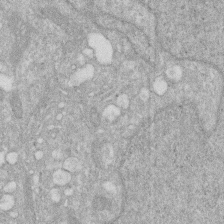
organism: Human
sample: HIV infected U937 cells